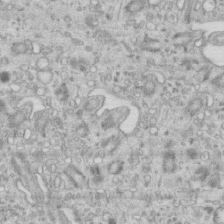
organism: Mouse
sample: Centriole in ependymal cells